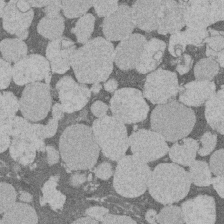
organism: Rat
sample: Salivary granule